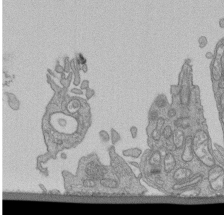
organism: Human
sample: Retinal organoid Rod and Cone cells